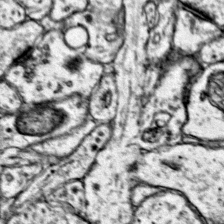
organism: Mouse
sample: Primary visual cortex